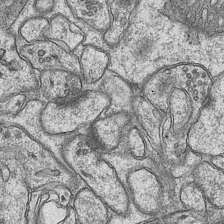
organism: Mouse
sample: CA1 Hippocampus